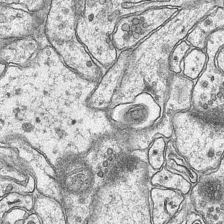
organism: Mouse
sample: CA1 Hippocampus